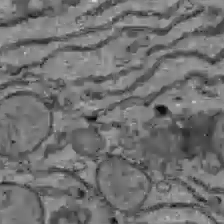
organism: C57BL Mouse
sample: Liver